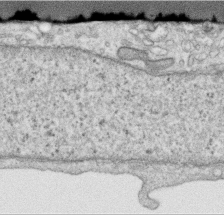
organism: Human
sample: Centriole in RPE cells